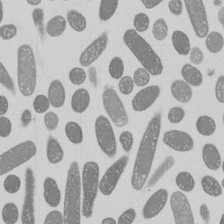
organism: E. coli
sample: Bacterial nucleoid